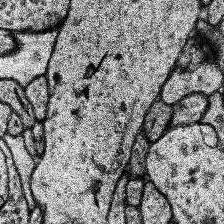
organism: Human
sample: Temporal Lobe